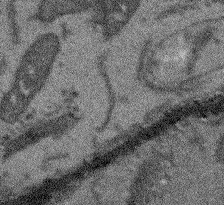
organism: Arabidopsis thaliana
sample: Root tip